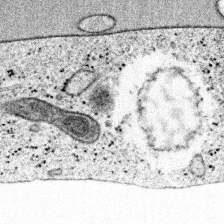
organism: Human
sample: HeLa cells